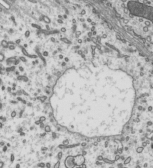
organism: Mouse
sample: Mouse epididymis efferent ductule cilia